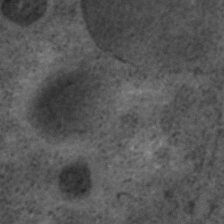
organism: C. elegans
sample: C. elegans embryo